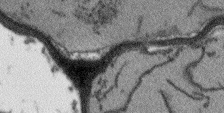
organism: Arabidopsis thaliana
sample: Root tip